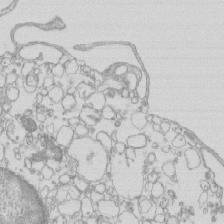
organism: Mouse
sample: Macrophages